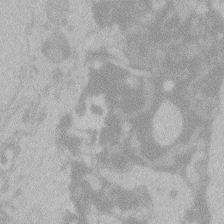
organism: Zebrafish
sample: Macrophage infected with Toxoplasma gondii